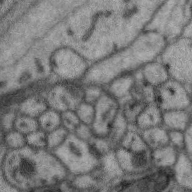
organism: Zebra finch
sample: Brain